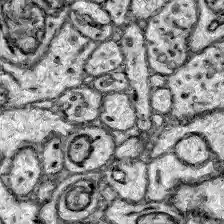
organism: Zebrafish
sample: Brain